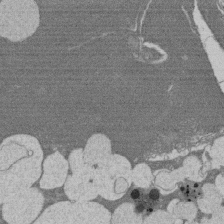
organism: Rat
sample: Salivary granule